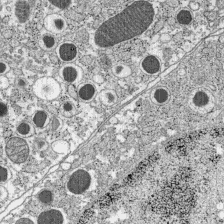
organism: C57BL Mouse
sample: Pancreatic islet